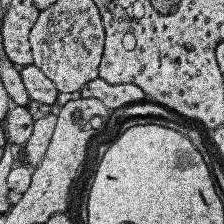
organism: Human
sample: Temporal Lobe